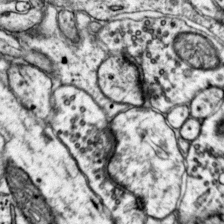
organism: Mouse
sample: Primary visual cortex